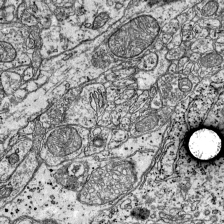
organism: Mouse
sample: Visual Cortex